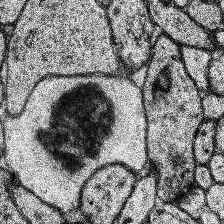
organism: Human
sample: Temporal Lobe